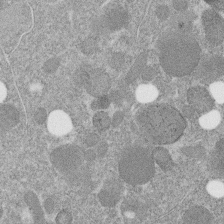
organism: C. elegans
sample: C. elegans embryo early stage